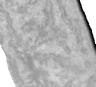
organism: Human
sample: Centriole in RPE cells